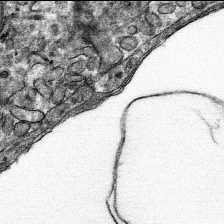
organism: Mouse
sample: Mouse hepatocytes